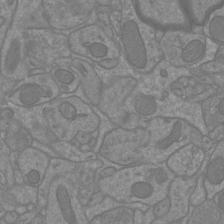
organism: Mouse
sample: Cortical neurons